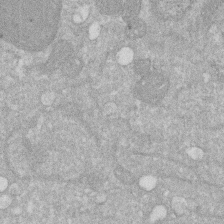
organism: Human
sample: HIV infected U937 cells